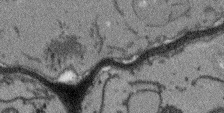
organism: Arabidopsis thaliana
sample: Root tip